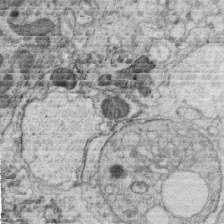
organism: C. elegans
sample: C. elegans oocyte; sperm cells